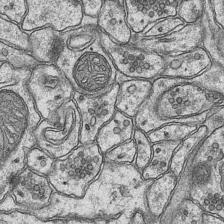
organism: Mouse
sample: CA1 Hippocampus